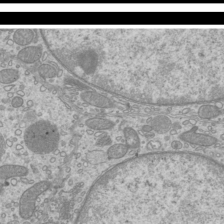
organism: Mouse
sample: Cilia; mouse epididymis